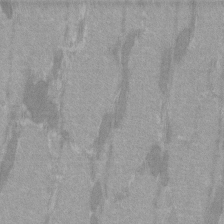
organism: C57BL Mouse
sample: Tibialis anterior muscle cell